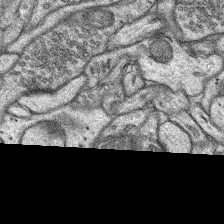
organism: Rat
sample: Hippocampus